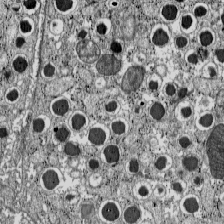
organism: C57BL Mouse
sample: Pancreatic islet